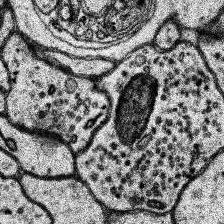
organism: Human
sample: Temporal Lobe